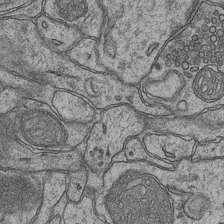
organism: Mouse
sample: CA1 Hippocampus